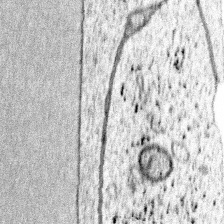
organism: Human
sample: HeLa cells